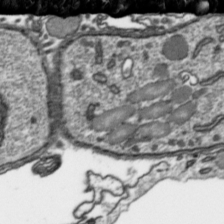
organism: Toxoplasma gondii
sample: Parasites in a vacuole inside a host cell